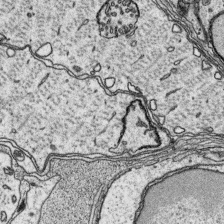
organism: Platynereis dumerilii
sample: Parapodia